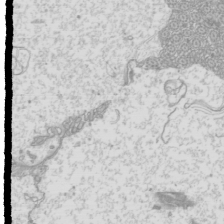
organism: Mouse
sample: Cilia; mouse epididymis